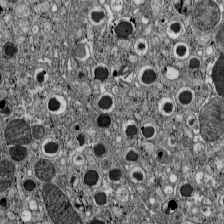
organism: C57BL Mouse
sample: Pancreatic islet